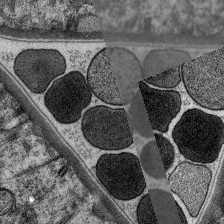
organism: C. elegans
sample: Pharynx